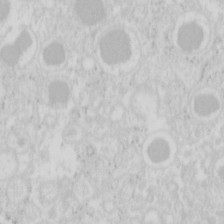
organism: Mouse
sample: Pancreas